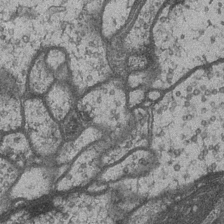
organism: Drosophila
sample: Optic medulla